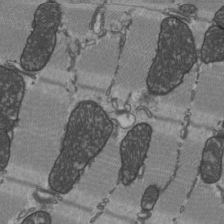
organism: C57BL Mouse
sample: Heart